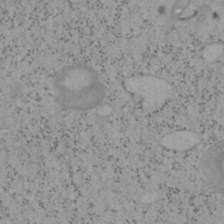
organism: Mouse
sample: OT-I killer T cells with ID8 ovarian cancer cells